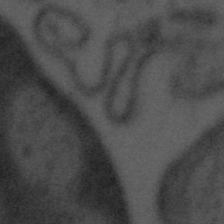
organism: Tuwongella immobilis